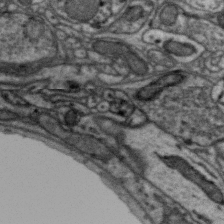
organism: Zebra finch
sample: Brain